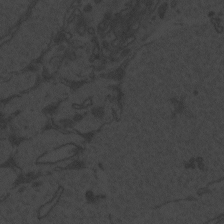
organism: Zebrafish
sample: Macrophage infected with Toxoplasma gondii